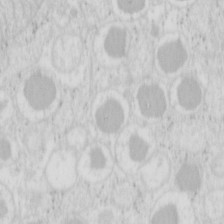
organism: Mouse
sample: Pancreas